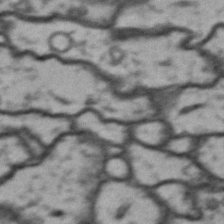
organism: Drosophila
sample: Brain